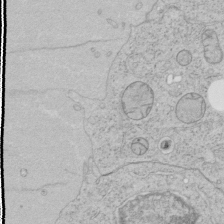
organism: Human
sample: Mitochondria in HCT116 cells